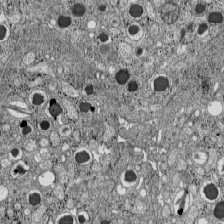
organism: C57BL Mouse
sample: Pancreatic islet